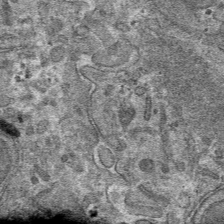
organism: Mouse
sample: Mouse hepatocytes